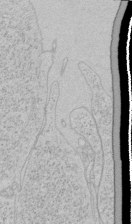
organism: Human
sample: Mitochondria in HCT116 cells